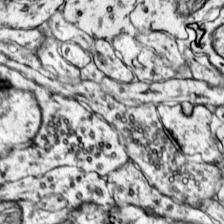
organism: Mouse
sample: Primary visual cortex